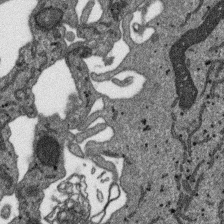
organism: Human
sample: Lung epithelial cells infected with SARS-CoV-2